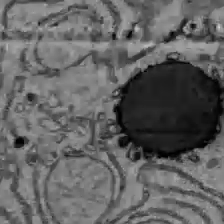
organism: C57BL Mouse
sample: Liver